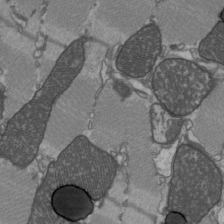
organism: C57BL Mouse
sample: Heart